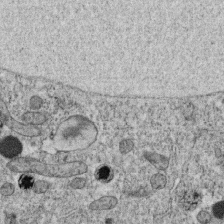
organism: C. elegans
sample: C. elegans oocyte; sperm cells